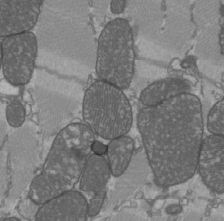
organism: C57BL Mouse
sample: Heart